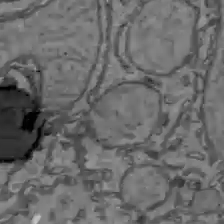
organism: C57BL Mouse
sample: Liver